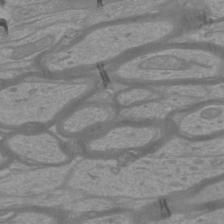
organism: Mouse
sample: Cortical neurons